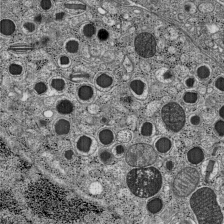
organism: C57BL Mouse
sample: Pancreatic islet